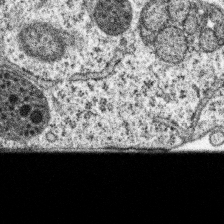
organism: Human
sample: HeLa cells